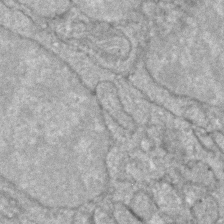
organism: Zebrafish